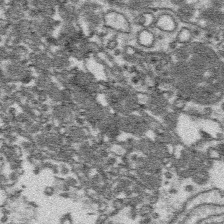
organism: Platynereis dumerilii